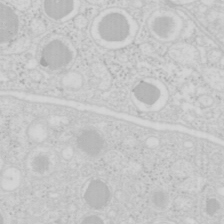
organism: Mouse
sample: Pancreas